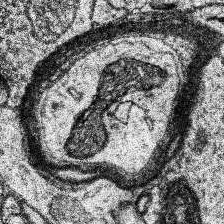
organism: Human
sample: Temporal Lobe